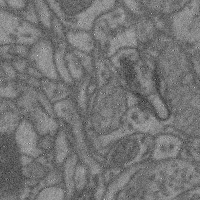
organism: Mouse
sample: Cerebral cortex